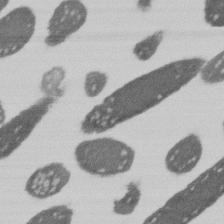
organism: E. coli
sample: Bacterial nucleoid